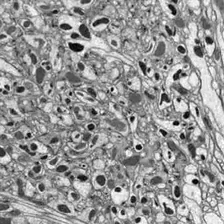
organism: Drosophila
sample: Optic lobe